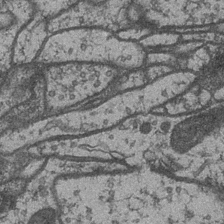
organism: Drosophila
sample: Optic medulla